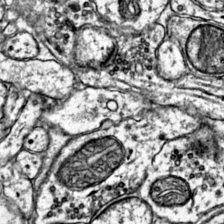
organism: Mouse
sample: Primary visual cortex